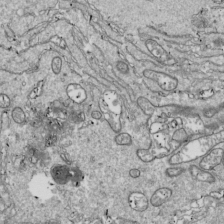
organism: Drosophila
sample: Cell division; meiosis; drosophila spermatocytes